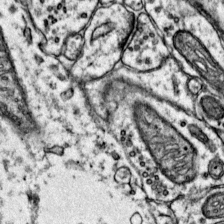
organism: Mouse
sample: Primary visual cortex